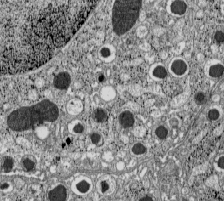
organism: C57BL Mouse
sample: Pancreatic islet